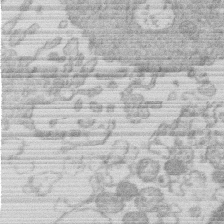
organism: Human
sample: Macrophage cells